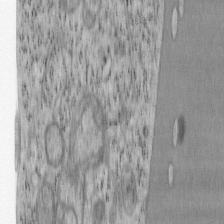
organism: Human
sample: HeLa cells